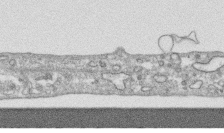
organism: Human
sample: CRL-1474